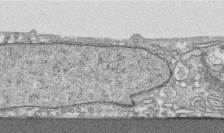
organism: Human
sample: CRL-1474